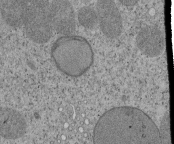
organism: Tetrahymena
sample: Cilia in tetrahymena